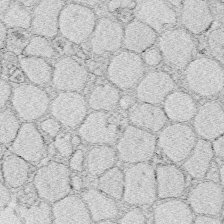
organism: Zebrafish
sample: Whole-Brain